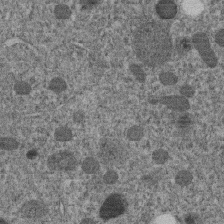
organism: C. elegans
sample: C. elegans embryo early stage